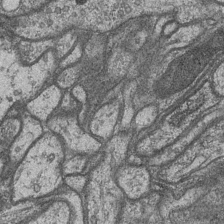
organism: Drosophila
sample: Optic medulla